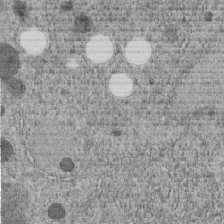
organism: C. elegans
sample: C. elegans embryo early stage